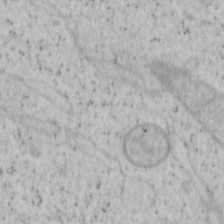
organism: Human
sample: HeLa cells